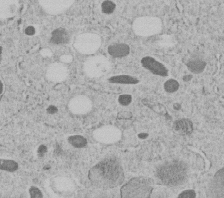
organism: C. elegans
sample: C. elegans embryo early stage